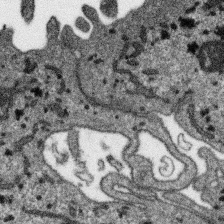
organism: Human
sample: Lung epithelial cells infected with SARS-CoV-2